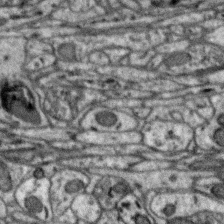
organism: Zebra finch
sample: Brain